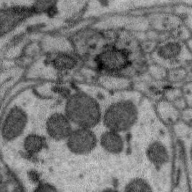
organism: Zebra finch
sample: Brain